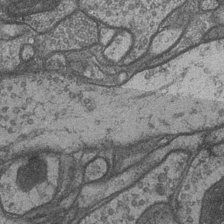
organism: Drosophila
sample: Optic medulla